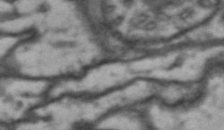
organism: Drosophila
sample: Brain